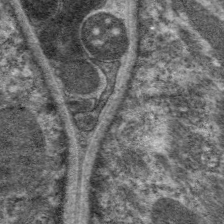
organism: C. elegans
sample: Pharynx